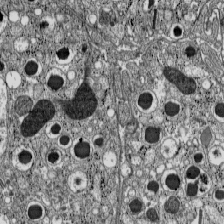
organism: C57BL Mouse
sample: Pancreatic islet